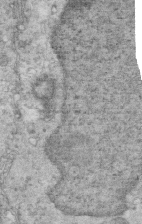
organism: Mouse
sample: Multiciliated cells